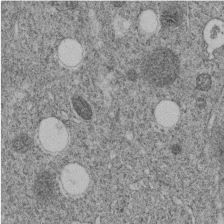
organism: C. elegans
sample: C. elegans embryo early stage